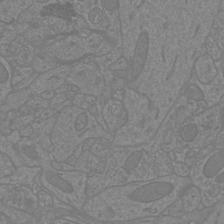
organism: Mouse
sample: Cortical neurons